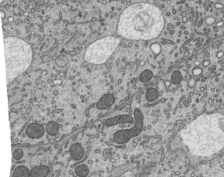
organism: Mouse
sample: Mouse epididymis efferent ductule cilia